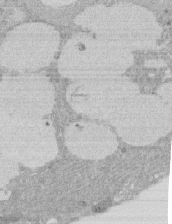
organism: Rat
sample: Salivary granule